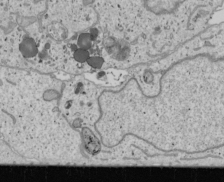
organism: Human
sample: Mitochondria in U2OS cells